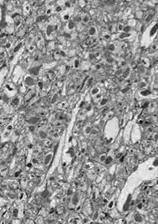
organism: Drosophila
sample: Optic lobe